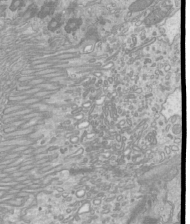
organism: Mouse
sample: Cilia; mouse epididymis